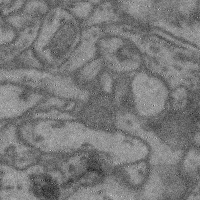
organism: Mouse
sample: Cerebral cortex